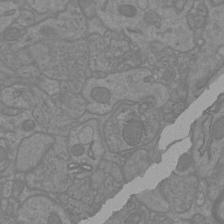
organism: Mouse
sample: Cortical neurons